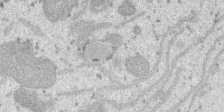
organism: Human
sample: Lung epithelial cells infected with SARS-CoV-2